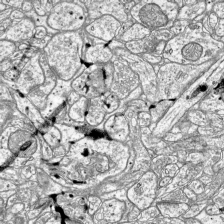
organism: Mouse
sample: Visual Cortex